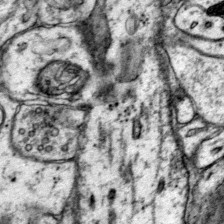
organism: Mouse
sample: Primary visual cortex